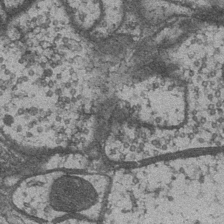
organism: Drosophila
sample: Optic medulla